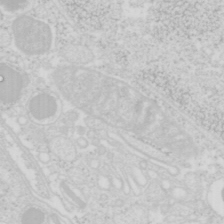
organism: Mouse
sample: Pancreas